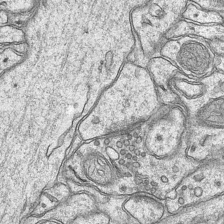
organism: Mouse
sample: CA1 Hippocampus